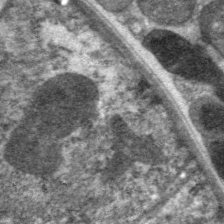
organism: C. elegans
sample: Pharynx